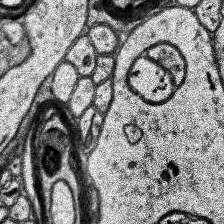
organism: Human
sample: Temporal Lobe